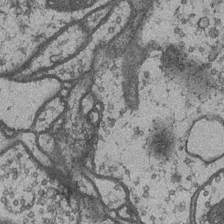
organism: Drosophila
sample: Optic medulla